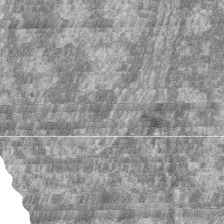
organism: Zebrafish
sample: Cilia; retinal pigment epithelium